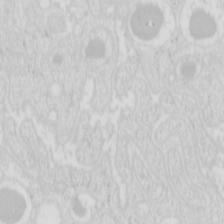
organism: Mouse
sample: Pancreas